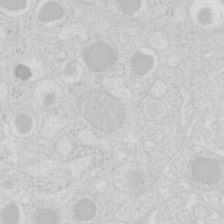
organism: Mouse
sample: Pancreas